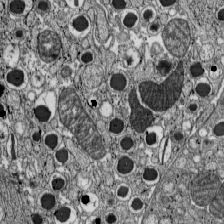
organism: C57BL Mouse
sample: Pancreatic islet